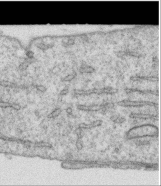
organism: Human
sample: Centriole in RPE cells